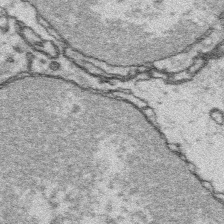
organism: Platynereis dumerilii